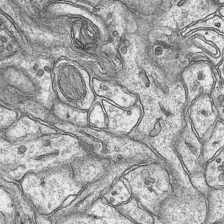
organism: Mouse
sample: CA1 Hippocampus